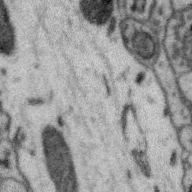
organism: Zebra finch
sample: Brain